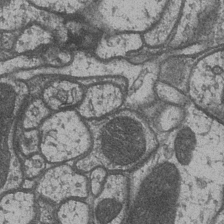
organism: Drosophila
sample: Optic medulla